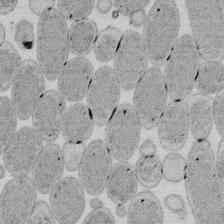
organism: E. coli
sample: Bacterial nucleoid